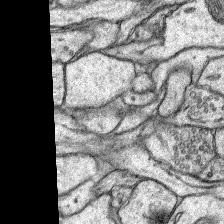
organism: Rat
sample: Hippocampus